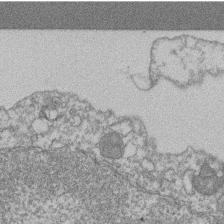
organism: Mouse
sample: T cell stromal cell synapse